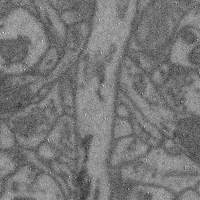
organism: Mouse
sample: Cerebral cortex